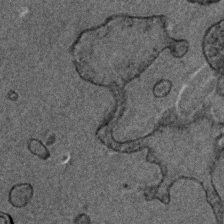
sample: Trachea